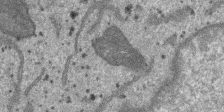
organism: Human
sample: Lung epithelial cells infected with SARS-CoV-2